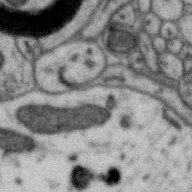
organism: Zebra finch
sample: Brain